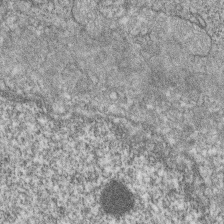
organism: Zebrafish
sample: Cilia; retinal pigment epithelium